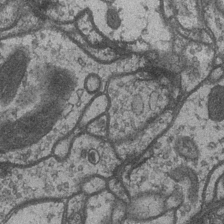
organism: Drosophila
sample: Optic medulla